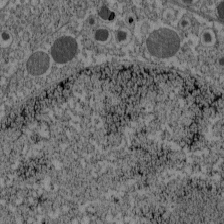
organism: C57BL Mouse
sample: Pancreatic islet